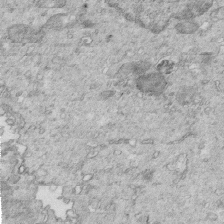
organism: Mouse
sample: Multiciliated cells